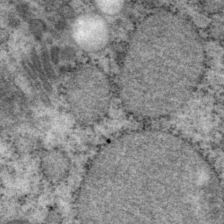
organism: P. pacificus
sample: Pharynx